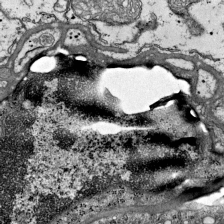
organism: Mouse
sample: Visual Cortex